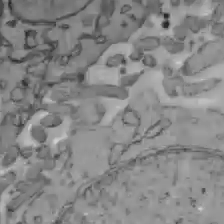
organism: C57BL Mouse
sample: Liver